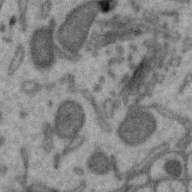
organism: Zebra finch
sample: Brain